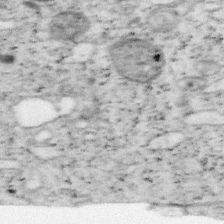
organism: Mouse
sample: OT-I killer T cells with ID8 ovarian cancer cells